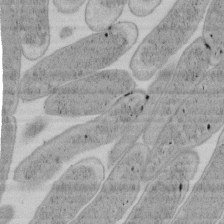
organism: E. coli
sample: Bacterial nucleoid